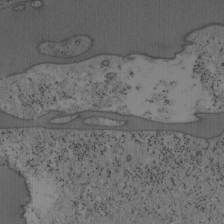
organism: Mouse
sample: OT-I killer T cells with ID8 ovarian cancer cells